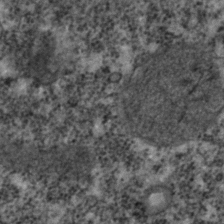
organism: C. elegans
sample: C. elegans embryo